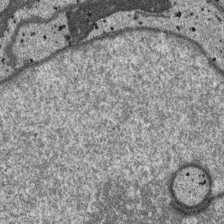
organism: Human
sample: Lung epithelial cells, uninfected (mock) control